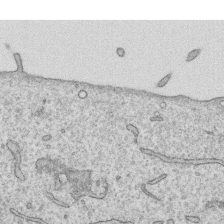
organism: Human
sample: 1205lu cells